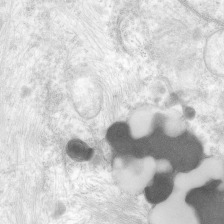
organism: Human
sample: Neocortex